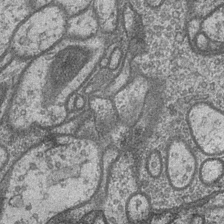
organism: Drosophila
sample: Optic medulla